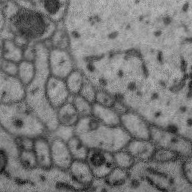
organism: Zebra finch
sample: Brain